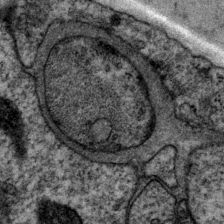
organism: P. pacificus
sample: Pharynx